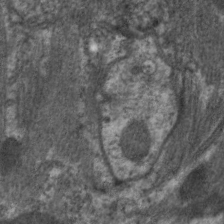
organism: C. elegans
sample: Pharynx